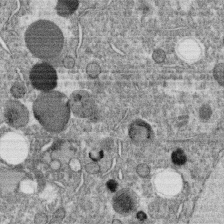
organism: C. elegans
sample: C. elegans oocyte; sperm cells